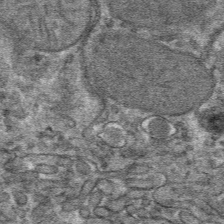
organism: Mouse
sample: Mouse hepatocytes